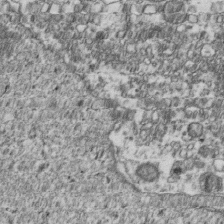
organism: Human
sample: Activated Jurkat CD4+ T cells